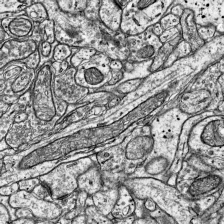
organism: Mouse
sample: Visual Cortex